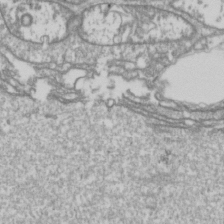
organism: Drosophila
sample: Cell division; meiosis; drosophila spermatocytes